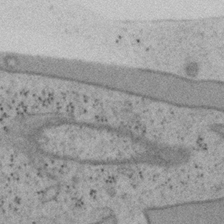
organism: Human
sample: HeLa cells